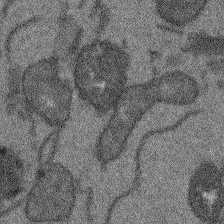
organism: Arabidopsis thaliana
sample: Root tip